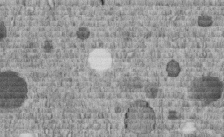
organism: C. elegans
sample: C. elegans embryo early stage